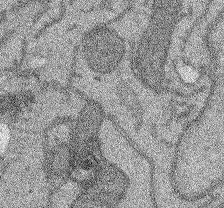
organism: Human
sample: HeLa cells